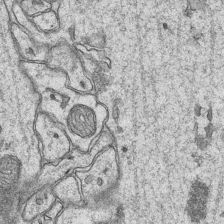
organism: Mouse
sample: CA1 Hippocampus